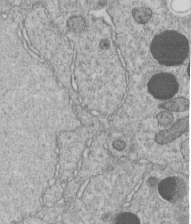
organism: C. elegans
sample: C. elegans embryo early stage